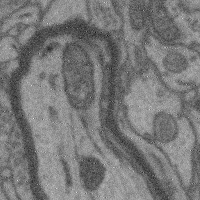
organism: Mouse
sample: Cerebral cortex